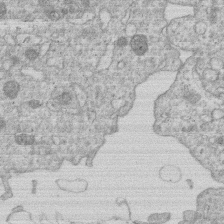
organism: Human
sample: Macrophage cells